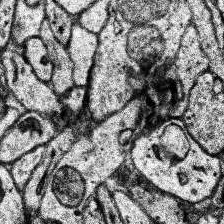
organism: Human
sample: Temporal Lobe